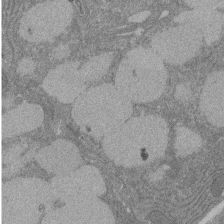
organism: Rat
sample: Salivary granule